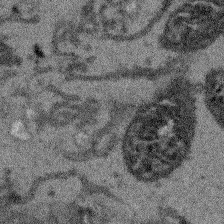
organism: Arabidopsis thaliana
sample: Root tip